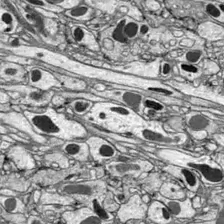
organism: Drosophila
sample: Optic lobe